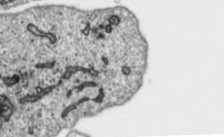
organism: Toxoplasma gondii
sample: Parasites in a vacuole inside a host cell